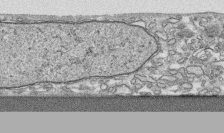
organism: Human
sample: CRL-1474